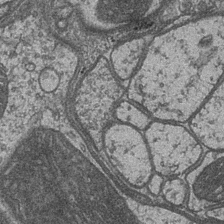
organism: Drosophila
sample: Optic medulla